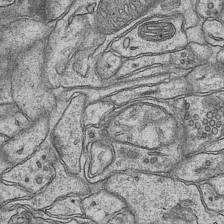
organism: Mouse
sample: CA1 Hippocampus